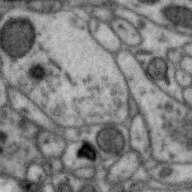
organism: Zebra finch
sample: Brain